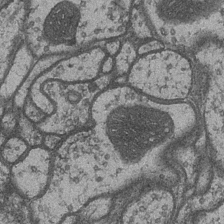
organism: Drosophila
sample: Optic medulla